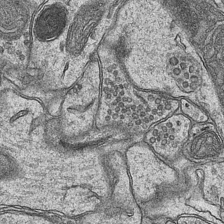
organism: Mouse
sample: CA1 Hippocampus